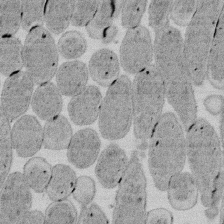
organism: E. coli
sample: Bacterial nucleoid